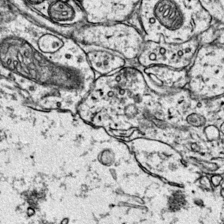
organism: Mouse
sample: Primary visual cortex